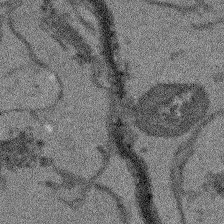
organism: Arabidopsis thaliana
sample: Root tip